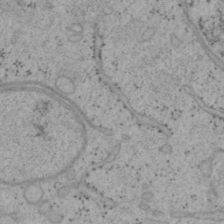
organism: Human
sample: HeLa cells